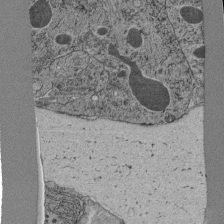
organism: C. elegans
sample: C. elegans pharynx